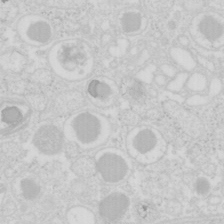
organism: Mouse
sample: Pancreas